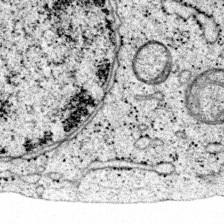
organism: Human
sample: HeLa cells